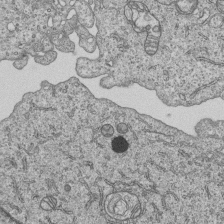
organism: Human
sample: MDA-MB-231 cells